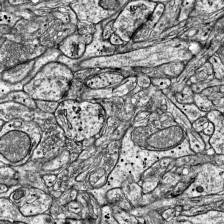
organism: Mouse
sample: Visual Cortex